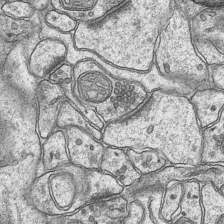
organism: Mouse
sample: CA1 Hippocampus